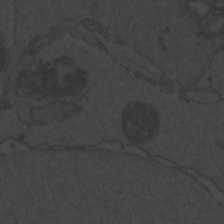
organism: Zebrafish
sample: Macrophage infected with Toxoplasma gondii